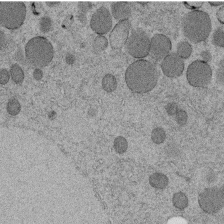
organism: C. elegans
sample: C. elegans embryo early stage